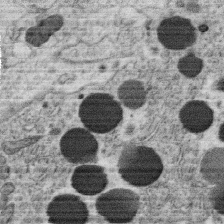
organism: C. elegans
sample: C. elegans oocyte; sperm cells